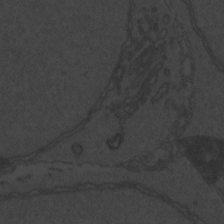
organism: Zebrafish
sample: Macrophage infected with Toxoplasma gondii